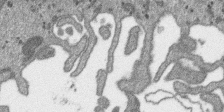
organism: Human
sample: Lung epithelial cells infected with SARS-CoV-2